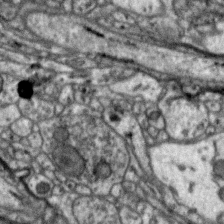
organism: Zebra finch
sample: Brain